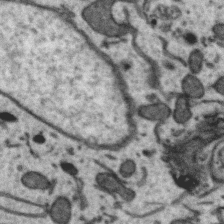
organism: Zebra finch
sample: Brain